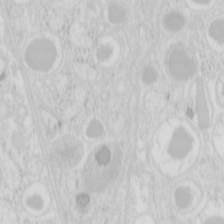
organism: Mouse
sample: Pancreas